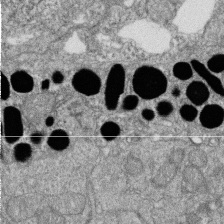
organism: Zebrafish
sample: Cilia; retinal pigment epithelium